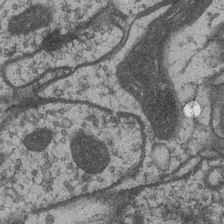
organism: Drosophila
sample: Optic medulla